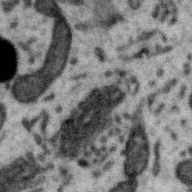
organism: Zebra finch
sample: Brain